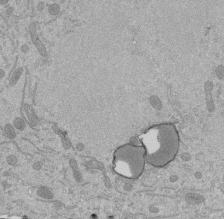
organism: Mouse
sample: ED-1 cell nuclei; centrioles